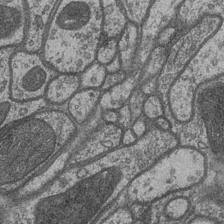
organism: Drosophila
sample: Optic medulla